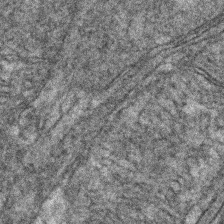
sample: Kidney